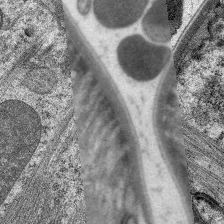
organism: C. elegans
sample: Pharynx